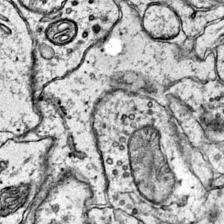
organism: Mouse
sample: Primary visual cortex